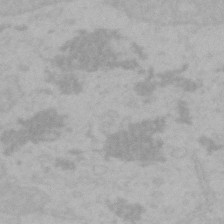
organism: Mouse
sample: Choroid plexus